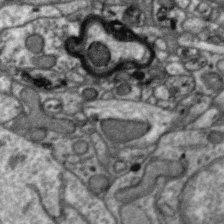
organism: Zebra finch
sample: Brain